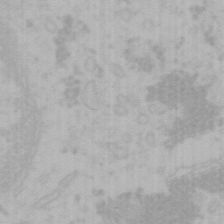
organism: Mouse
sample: Choroid plexus